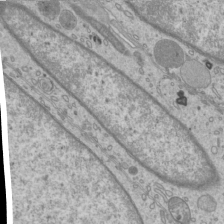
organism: Mouse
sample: Cilia; mouse epididymis